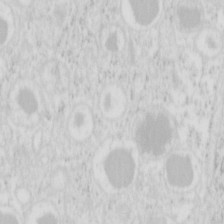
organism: Mouse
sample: Pancreas